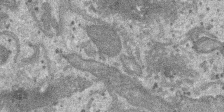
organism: Human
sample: Lung epithelial cells infected with SARS-CoV-2